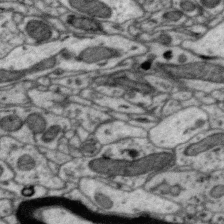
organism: Zebra finch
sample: Brain